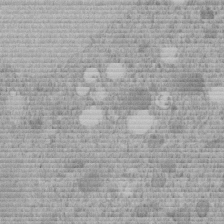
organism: C. elegans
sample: C. elegans embryo early stage